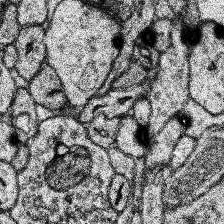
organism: Human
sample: Temporal Lobe